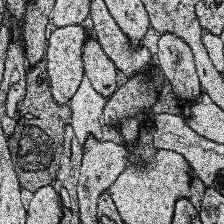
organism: Human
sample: Temporal Lobe